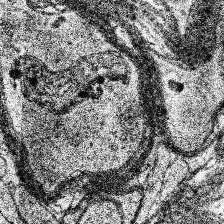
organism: Human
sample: Temporal Lobe